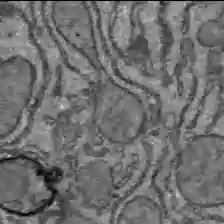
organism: C57BL Mouse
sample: Liver